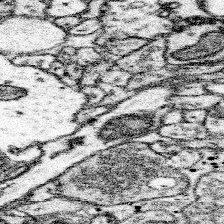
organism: Mouse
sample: Somatosensory cortex neuropil